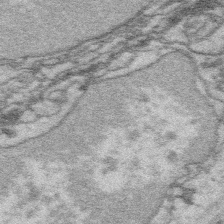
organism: Platynereis dumerilii